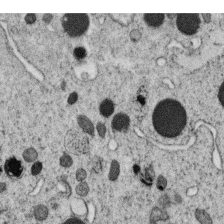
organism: C. elegans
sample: C. elegans oocyte; sperm cells